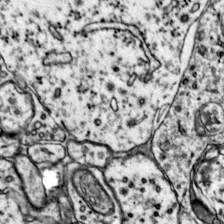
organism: Mouse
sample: Primary visual cortex